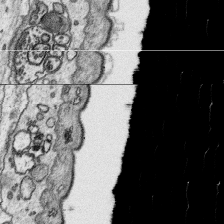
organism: Platynereis dumerilii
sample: Parapodia